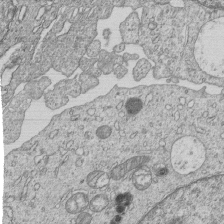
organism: Human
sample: MDA-MB-231 cells